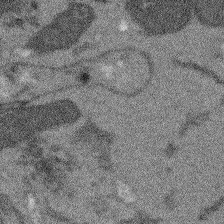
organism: Arabidopsis thaliana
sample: Root tip